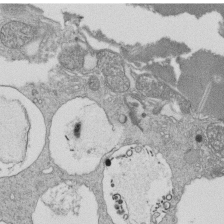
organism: Tetrahymena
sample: Cilia in tetrahymena